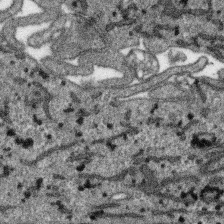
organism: Human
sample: Lung epithelial cells infected with SARS-CoV-2